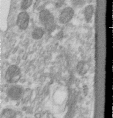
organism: Human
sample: Centriole in RPE cells